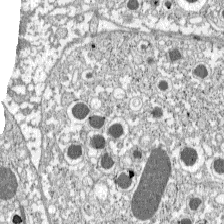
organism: C57BL Mouse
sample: Pancreatic islet